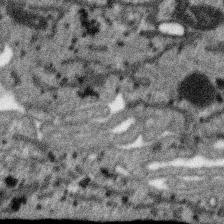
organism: Human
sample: Lung epithelial cells infected with SARS-CoV-2